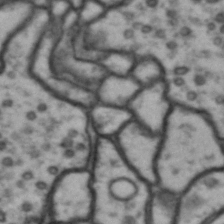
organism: Drosophila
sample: Brain